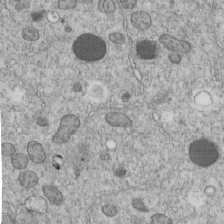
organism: C. elegans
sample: C. elegans embryo early stage